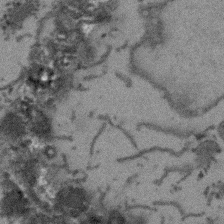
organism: Arabidopsis thaliana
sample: Root tip